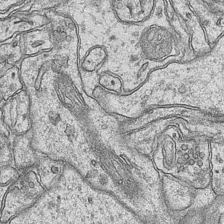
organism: Mouse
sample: CA1 Hippocampus